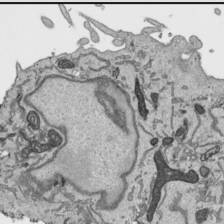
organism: Human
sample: Mitochondria in HCT116 cells